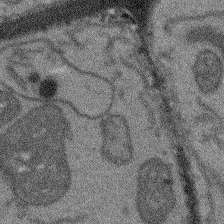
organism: Arabidopsis thaliana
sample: Root tip